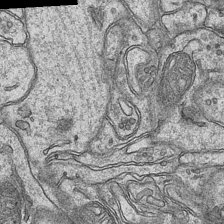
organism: Mouse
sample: CA1 Hippocampus